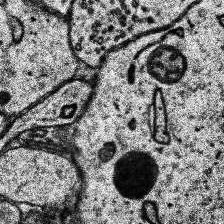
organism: Human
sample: Temporal Lobe